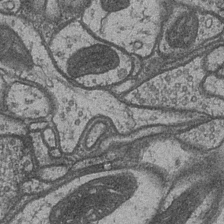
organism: Drosophila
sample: Optic medulla